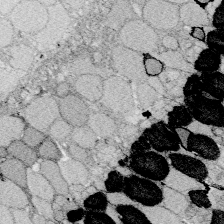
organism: Zebrafish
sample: Whole-Brain